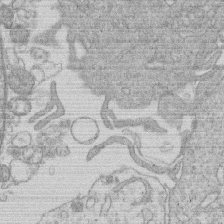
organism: Human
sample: Macrophage cells